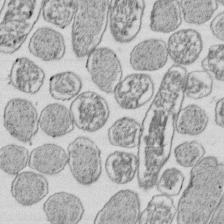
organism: E. coli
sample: Bacterial nucleoid